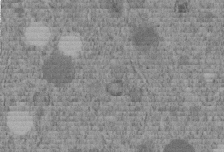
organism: C. elegans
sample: C. elegans embryo early stage